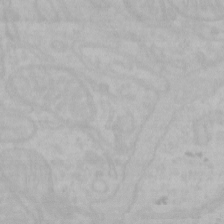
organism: Mouse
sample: Choroid plexus